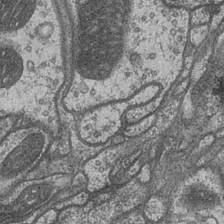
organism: Drosophila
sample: Optic medulla